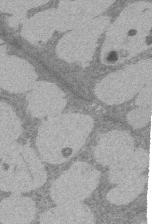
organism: Rat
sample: Salivary granule